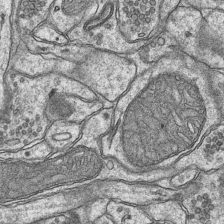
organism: Mouse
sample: CA1 Hippocampus